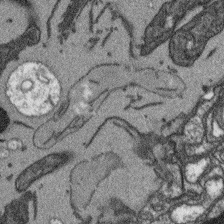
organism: Arabidopsis thaliana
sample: Root tip